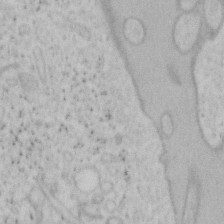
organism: Human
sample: HeLa cells